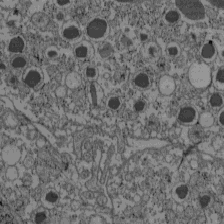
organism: C57BL Mouse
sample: Pancreatic islet